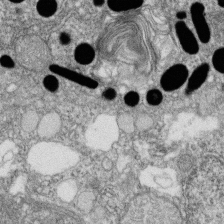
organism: Zebrafish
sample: Cilia; retinal pigment epithelium